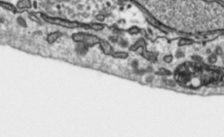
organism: Toxoplasma gondii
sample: Parasites in a vacuole inside a host cell